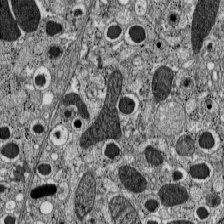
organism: C57BL Mouse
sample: Pancreatic islet